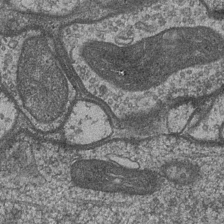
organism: Drosophila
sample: Optic medulla